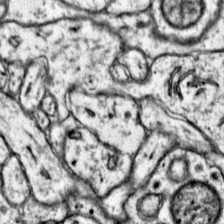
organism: Mouse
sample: Primary visual cortex